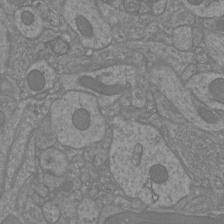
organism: Mouse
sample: Cortical neurons